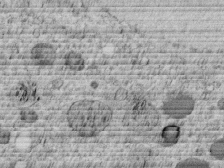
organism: C. elegans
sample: C. elegans embryo early stage